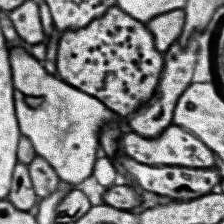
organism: Human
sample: Temporal Lobe